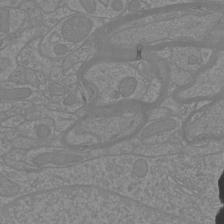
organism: Mouse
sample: Cortical neurons